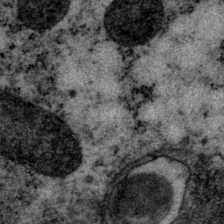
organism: P. pacificus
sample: Pharynx